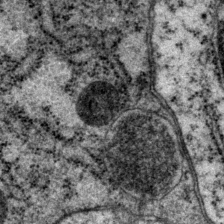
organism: P. pacificus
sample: Pharynx